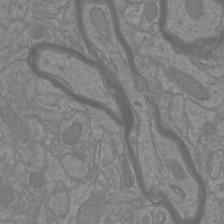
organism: Mouse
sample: Cortical neurons